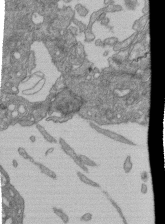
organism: Human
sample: Retinal organoid Rod and Cone cells